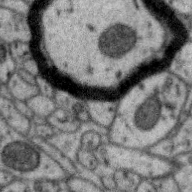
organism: Zebra finch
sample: Brain